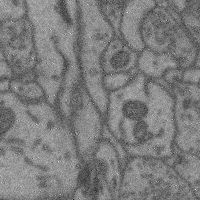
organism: Mouse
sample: Cerebral cortex